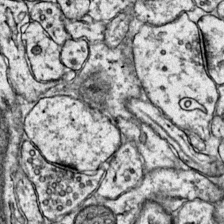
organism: Mouse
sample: Primary visual cortex